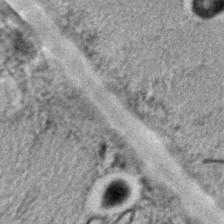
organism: C. elegans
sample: C. elegans embryo